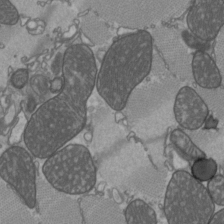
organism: C57BL Mouse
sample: Heart